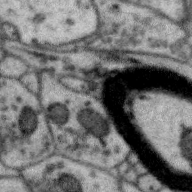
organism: Zebra finch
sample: Brain